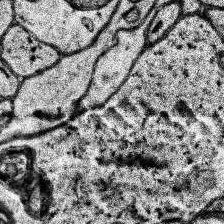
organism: Human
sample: Temporal Lobe